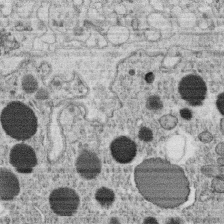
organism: C. elegans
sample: C. elegans oocyte; sperm cells